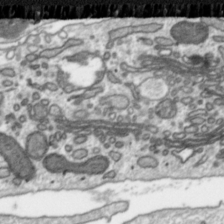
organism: Toxoplasma gondii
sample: Parasites in a vacuole inside a host cell